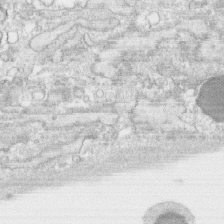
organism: Human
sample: CRL-1474